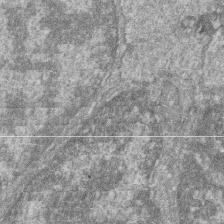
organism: Zebrafish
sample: Cilia; retinal pigment epithelium